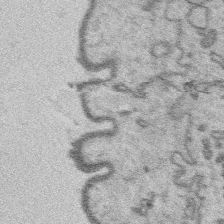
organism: Platynereis dumerilii